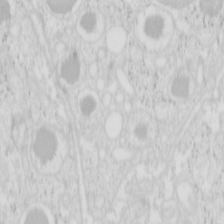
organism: Mouse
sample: Pancreas